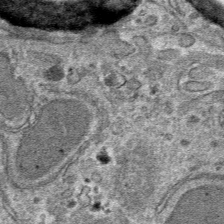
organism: Mouse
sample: Mouse hepatocytes